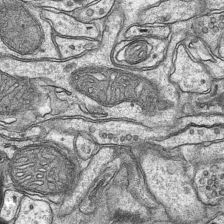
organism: Mouse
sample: CA1 Hippocampus